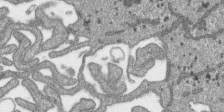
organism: Human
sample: Lung epithelial cells infected with SARS-CoV-2